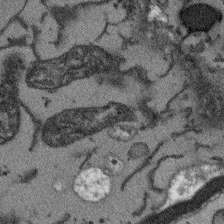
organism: Arabidopsis thaliana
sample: Root tip